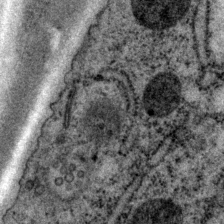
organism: P. pacificus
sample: Pharynx